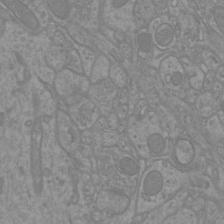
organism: Mouse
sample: Cortical neurons